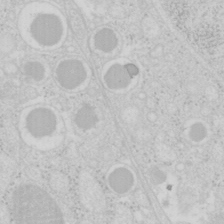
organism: Mouse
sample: Pancreas